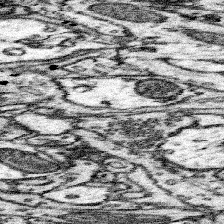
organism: Mouse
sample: Somatosensory cortex neuropil